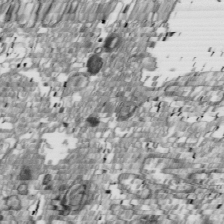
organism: Drosophila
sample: Cell division; meiosis; drosophila spermatocytes